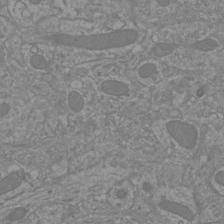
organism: Mouse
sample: Cortical neurons